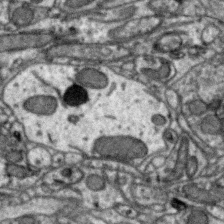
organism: Zebra finch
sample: Brain